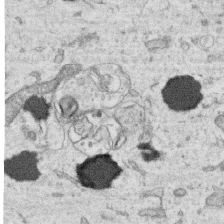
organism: Human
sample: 1205lu cells